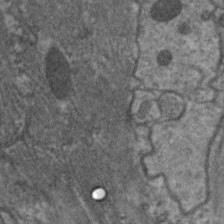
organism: C. elegans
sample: Pharynx